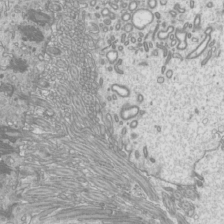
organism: Mouse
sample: Cilia; mouse epididymis